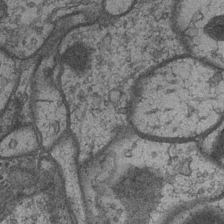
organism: Drosophila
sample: Optic medulla